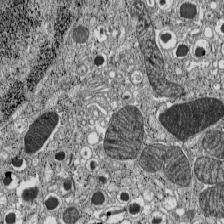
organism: C57BL Mouse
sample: Pancreatic islet